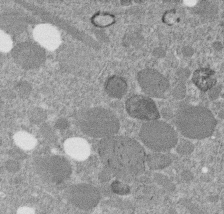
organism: C. elegans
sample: C. elegans embryo early stage